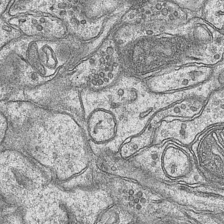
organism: Mouse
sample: CA1 Hippocampus